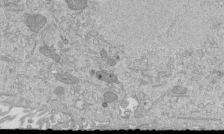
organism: Mouse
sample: ED-1 cell nuclei; centrioles